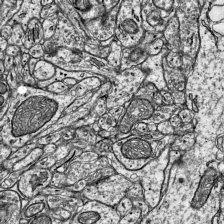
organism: Mouse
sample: Visual Cortex